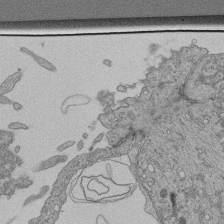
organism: Human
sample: Retinal organoid Rod and Cone cells